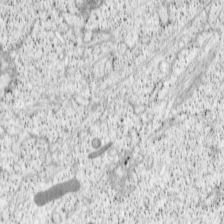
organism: African green monkey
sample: COS-7 cells